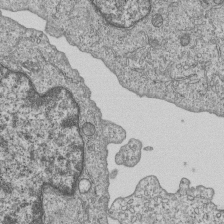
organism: Human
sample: MDA-MB-231 cells